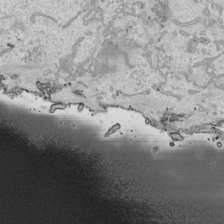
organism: Human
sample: Mitochondria in HCT116 cells